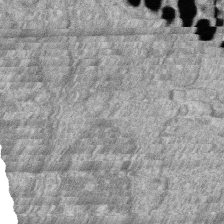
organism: Zebrafish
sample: Cilia; retinal pigment epithelium